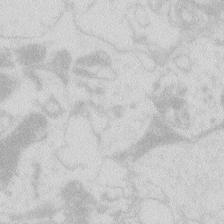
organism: Zebrafish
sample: Macrophage